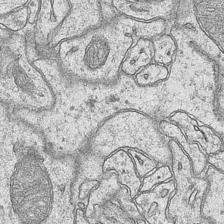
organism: Mouse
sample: CA1 Hippocampus